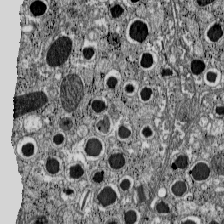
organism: C57BL Mouse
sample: Pancreatic islet